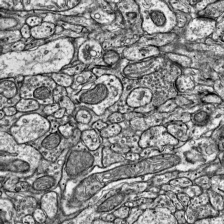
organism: Mouse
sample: Visual Cortex